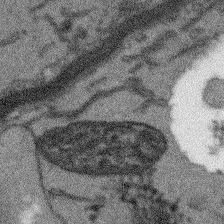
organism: Arabidopsis thaliana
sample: Root tip